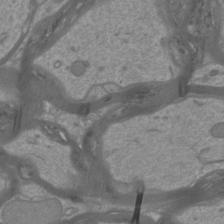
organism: Mouse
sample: Cortical neurons